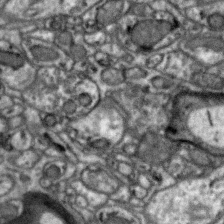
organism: Zebra finch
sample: Brain